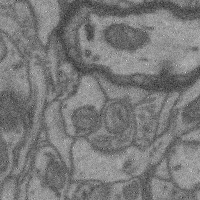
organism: Mouse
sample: Cerebral cortex